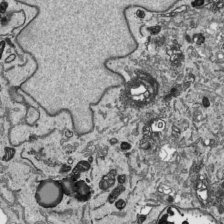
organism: Human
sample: Mitochondria in HCT116 cells